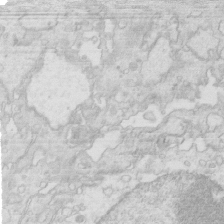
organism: Mouse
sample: Multiciliated cells